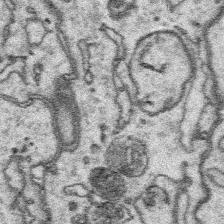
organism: Platynereis dumerilii